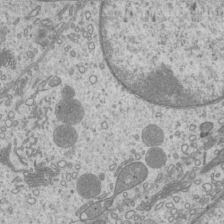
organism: Mouse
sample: Cilia; mouse epididymis